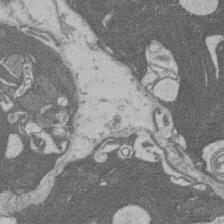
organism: Rat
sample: Salivary granule